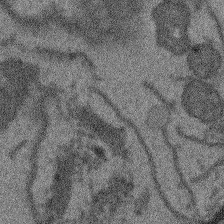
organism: Arabidopsis thaliana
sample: Root tip